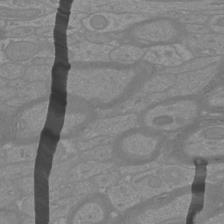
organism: Mouse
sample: Cortical neurons